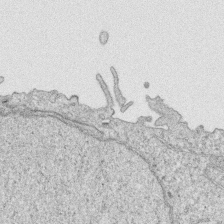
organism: Human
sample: HeLa cell HIV synapse